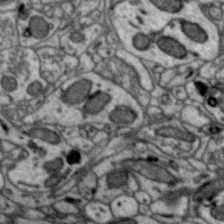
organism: Zebra finch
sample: Brain